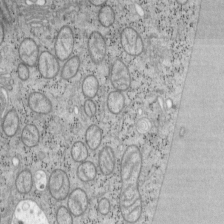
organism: Mouse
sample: OT-I killer T cells with ID8 ovarian cancer cells